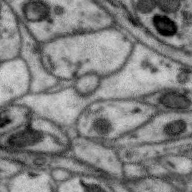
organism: Zebra finch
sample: Brain